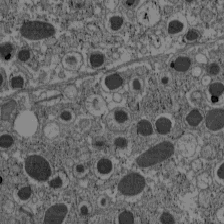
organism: C57BL Mouse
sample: Pancreatic islet